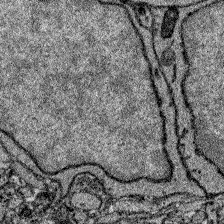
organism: Zebrafish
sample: Larval olfactory bulb